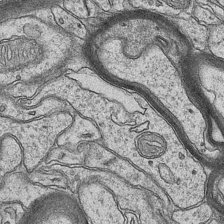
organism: Mouse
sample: CA1 Hippocampus